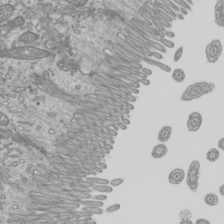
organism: Mouse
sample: Cilia; mouse epididymis